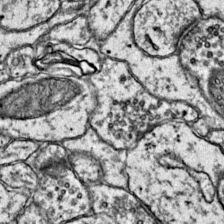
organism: Mouse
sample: Primary visual cortex